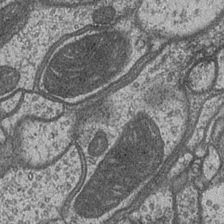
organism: Drosophila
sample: Optic medulla